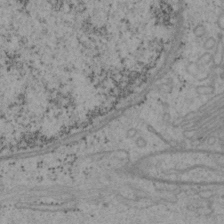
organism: Human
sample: HeLa cells